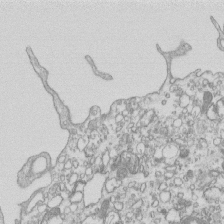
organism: Mouse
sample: Macrophages